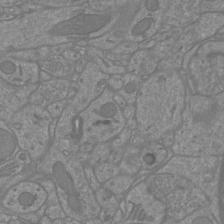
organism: Mouse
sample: Cortical neurons